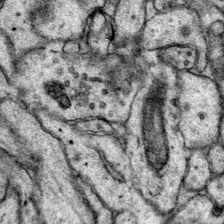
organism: Mouse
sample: Primary visual cortex